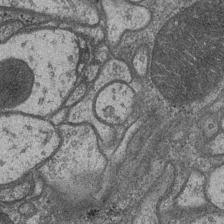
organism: Drosophila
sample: Optic medulla